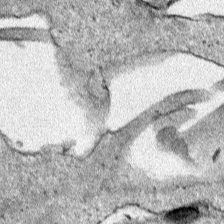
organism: Human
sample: Mitochondria in HCT116 cells